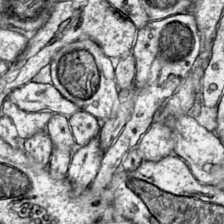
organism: Mouse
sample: Primary visual cortex